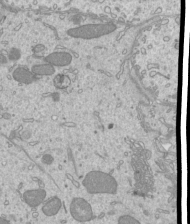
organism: Mouse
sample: Cilia; mouse epididymis